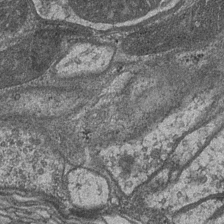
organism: Drosophila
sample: Optic medulla